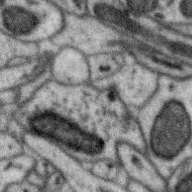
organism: Zebra finch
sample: Brain